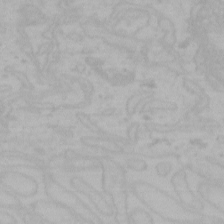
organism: Mouse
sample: Choroid plexus